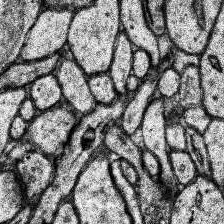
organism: Human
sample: Temporal Lobe